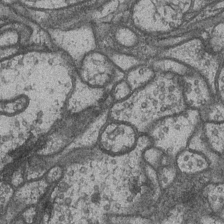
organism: Drosophila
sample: Optic medulla